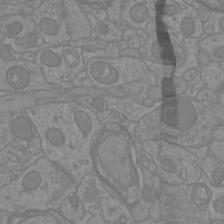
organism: Mouse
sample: Cortical neurons